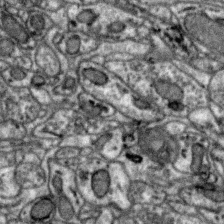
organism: Zebra finch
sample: Brain